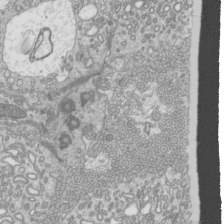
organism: Mouse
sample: Cilia; mouse epididymis